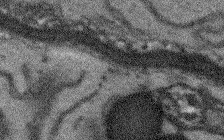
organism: Arabidopsis thaliana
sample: Root tip